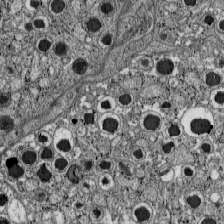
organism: C57BL Mouse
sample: Pancreatic islet